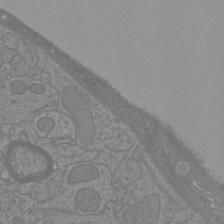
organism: Mouse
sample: Cortical neurons